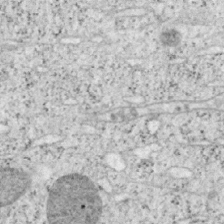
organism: Mouse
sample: OT-I killer T cells with ID8 ovarian cancer cells